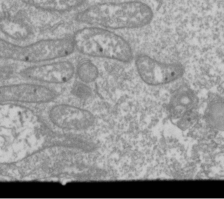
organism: Drosophila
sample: Cell division; meiosis; drosophila spermatocytes